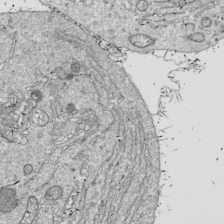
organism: Drosophila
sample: Cell division; meiosis; drosophila spermatocytes